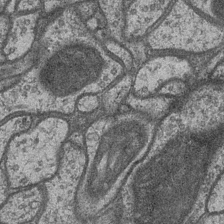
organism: Drosophila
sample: Optic medulla